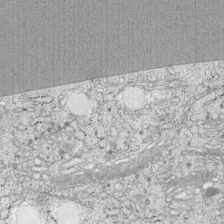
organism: African green monkey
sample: COS-7 cells